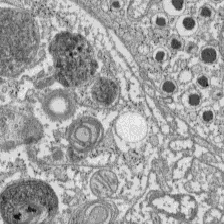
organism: C57BL Mouse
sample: Pancreatic islet